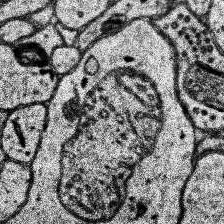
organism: Human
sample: Temporal Lobe